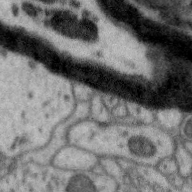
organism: Zebra finch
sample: Brain